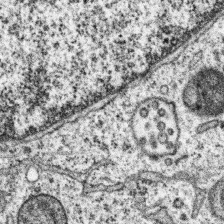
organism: Human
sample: HeLa cells